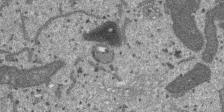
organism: Human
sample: Lung epithelial cells infected with SARS-CoV-2